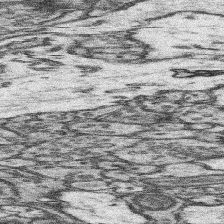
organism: Mouse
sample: Somatosensory cortex neuropil